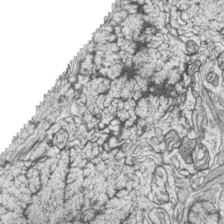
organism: Zebrafish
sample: synaptic ribbons in rod cells and cone cells